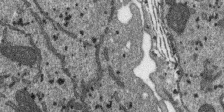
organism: Human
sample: Lung epithelial cells infected with SARS-CoV-2